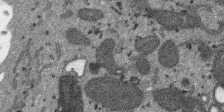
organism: Human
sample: Lung epithelial cells infected with SARS-CoV-2